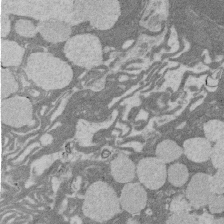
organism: Rat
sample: Salivary granule